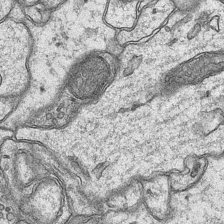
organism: Mouse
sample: CA1 Hippocampus